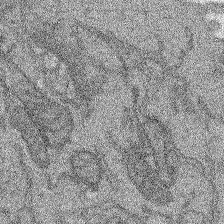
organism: Human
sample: HeLa cells